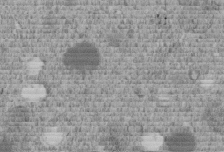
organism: C. elegans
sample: C. elegans embryo early stage